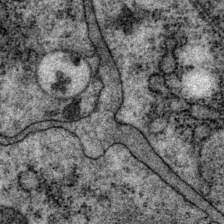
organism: P. pacificus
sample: Pharynx